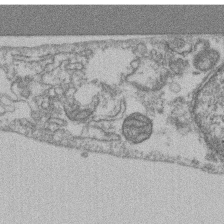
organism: Mouse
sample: T cell stromal cell synapse